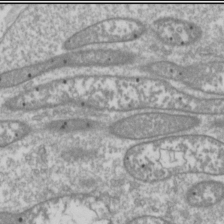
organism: Drosophila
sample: Cell division; meiosis; drosophila spermatocytes